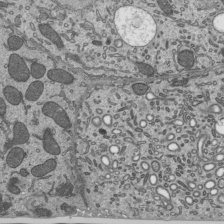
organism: Mouse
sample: Mouse epididymis efferent ductule cilia